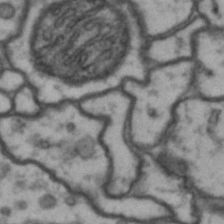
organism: Drosophila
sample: Brain